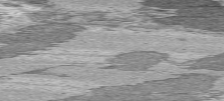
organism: C57BL Mouse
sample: Heart